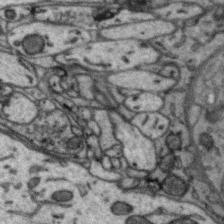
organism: Zebra finch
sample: Brain